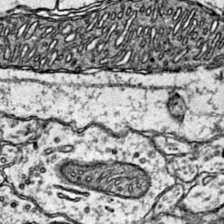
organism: Mouse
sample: Primary visual cortex